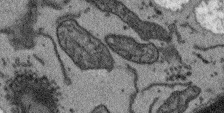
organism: Arabidopsis thaliana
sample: Root tip